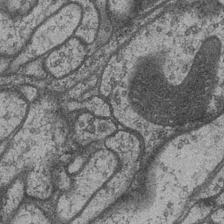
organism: Drosophila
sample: Optic medulla